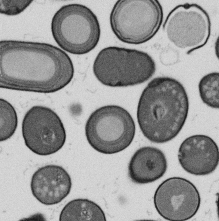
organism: B. subtilis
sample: Bacterial spore